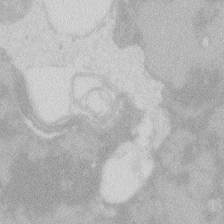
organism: Zebrafish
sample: Macrophage